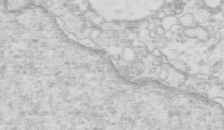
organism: Mouse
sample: Multiciliated cells